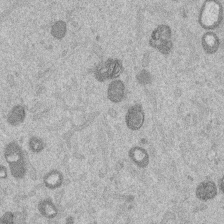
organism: Mouse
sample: Dividing mouse embryo 1 cell stage